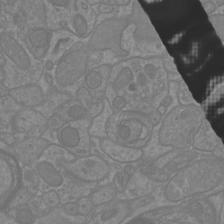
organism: Mouse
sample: Cortical neurons